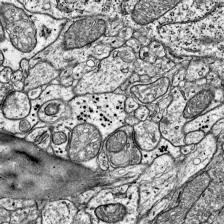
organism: Mouse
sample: Visual Cortex